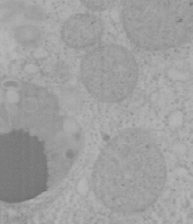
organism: Mouse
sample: OT-I killer T cells with ID8 ovarian cancer cells